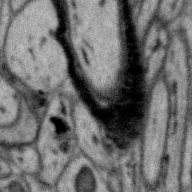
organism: Zebra finch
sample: Brain